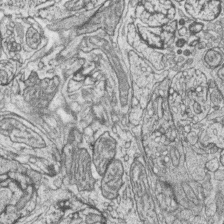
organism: Zebrafish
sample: synaptic ribbons in rod cells and cone cells